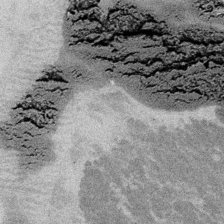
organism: Embia sp.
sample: Silk gland